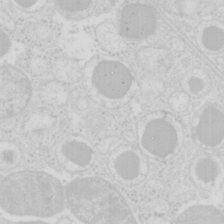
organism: Mouse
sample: Pancreas